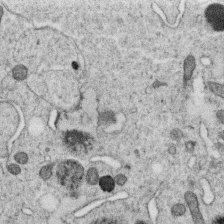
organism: C. elegans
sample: C. elegans oocyte; sperm cells